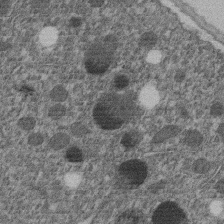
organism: C. elegans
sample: C. elegans embryo early stage